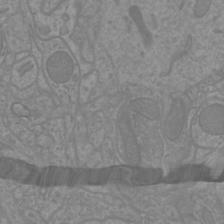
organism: Mouse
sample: Cortical neurons